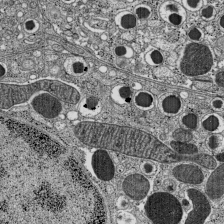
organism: C57BL Mouse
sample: Pancreatic islet